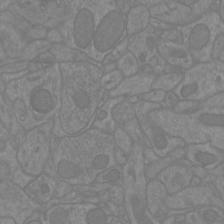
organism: Mouse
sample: Cortical neurons